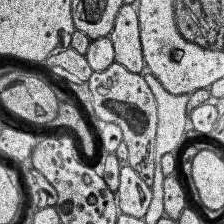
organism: Human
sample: Temporal Lobe